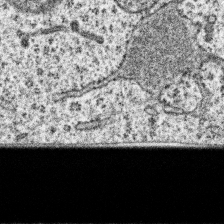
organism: Human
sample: HeLa cells